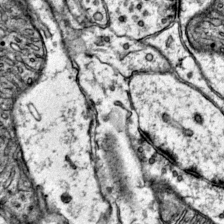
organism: Mouse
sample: Primary visual cortex